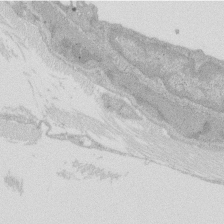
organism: Rat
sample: Salivary granule